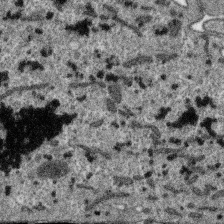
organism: Human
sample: Lung epithelial cells infected with SARS-CoV-2